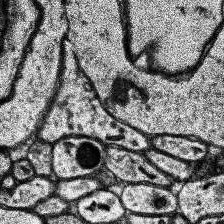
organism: Human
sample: Temporal Lobe